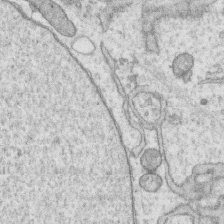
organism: Human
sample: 1205lu cells